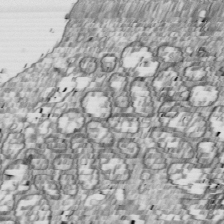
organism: Drosophila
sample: Cell division; meiosis; drosophila spermatocytes